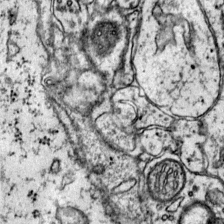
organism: Mouse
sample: Primary visual cortex